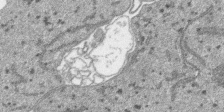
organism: Human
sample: Lung epithelial cells infected with SARS-CoV-2